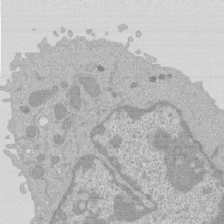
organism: Mouse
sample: Activated Pmel transgenic CD8+ T Cells